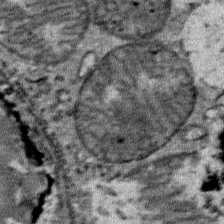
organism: Mouse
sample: Mouse Salivary gland